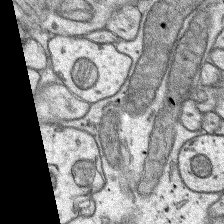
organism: Rat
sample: Hippocampus